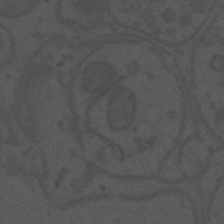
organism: Mouse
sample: Suprachiasmatic nucleus